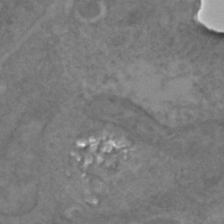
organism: C. elegans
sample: C. elegans embryo